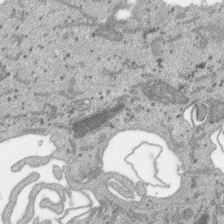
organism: Human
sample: Lung epithelial cells infected with SARS-CoV-2